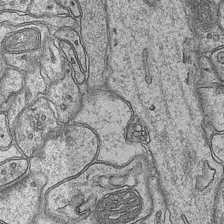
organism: Mouse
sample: CA1 Hippocampus